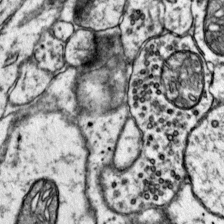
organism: Mouse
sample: Primary visual cortex